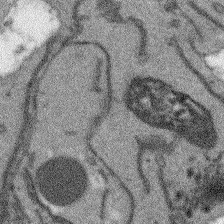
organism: Arabidopsis thaliana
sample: Root tip